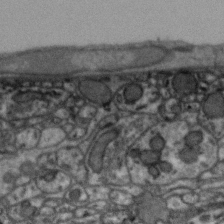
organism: Zebra finch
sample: Brain